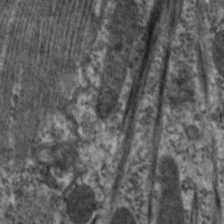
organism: C. elegans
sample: Pharynx